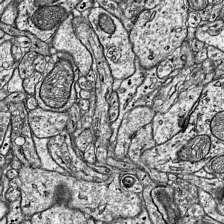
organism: Mouse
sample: Visual Cortex